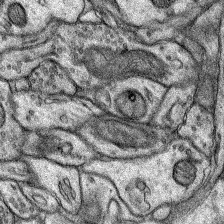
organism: Rat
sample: Hippocampus